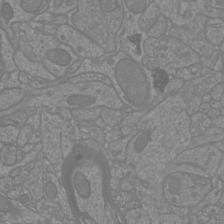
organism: Mouse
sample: Cortical neurons